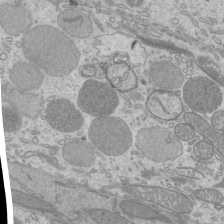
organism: Mouse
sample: Cilia; mouse epididymis